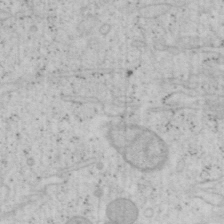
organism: Human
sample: HeLa cells